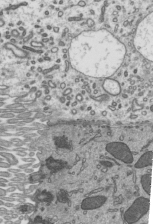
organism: Mouse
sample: Mouse epididymis efferent ductule cilia